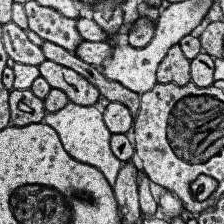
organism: Human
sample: Temporal Lobe